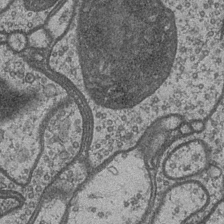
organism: Drosophila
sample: Optic medulla